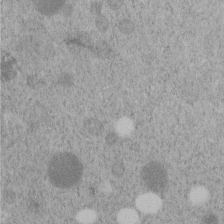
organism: C. elegans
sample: C. elegans embryo early stage